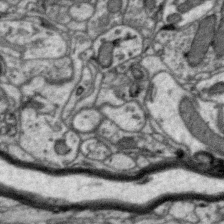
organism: Zebra finch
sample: Brain